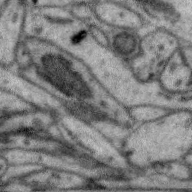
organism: Zebra finch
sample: Brain